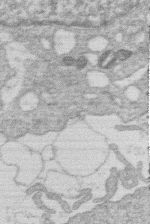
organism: Human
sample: Macrophage cells